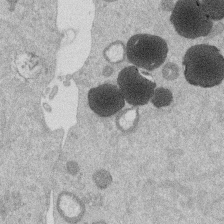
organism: Mouse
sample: Dividing mouse embryo 1 cell stage